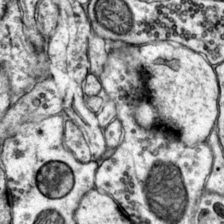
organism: Mouse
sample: Primary visual cortex